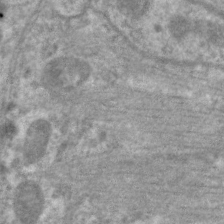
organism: C. elegans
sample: Pharynx